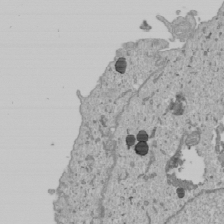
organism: Human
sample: Mitochondria in U2OS cells